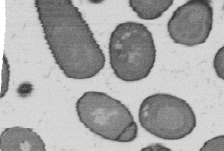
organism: B. subtilis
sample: Bacterial spore